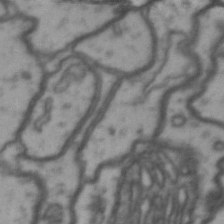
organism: Drosophila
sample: Brain